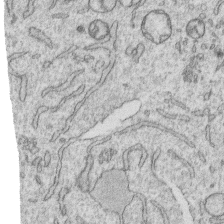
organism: Human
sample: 1205lu cells